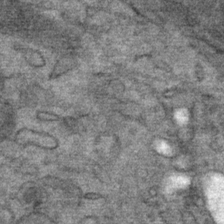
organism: Mouse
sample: Mouse Salivary gland